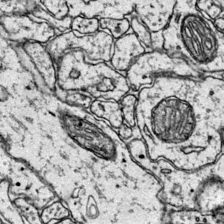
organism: Mouse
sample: Primary visual cortex